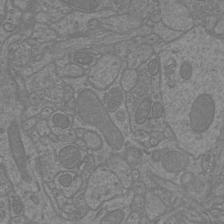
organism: Mouse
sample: Cortical neurons